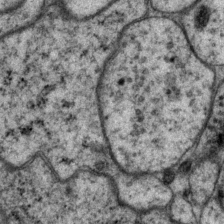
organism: P. pacificus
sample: Pharynx